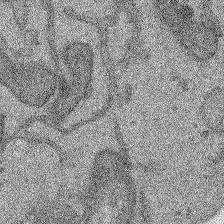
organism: Human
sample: HeLa cells